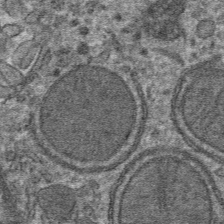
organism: Mouse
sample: Mouse hepatocytes